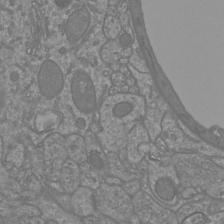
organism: Mouse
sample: Cortical neurons